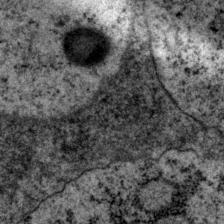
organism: P. pacificus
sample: Pharynx